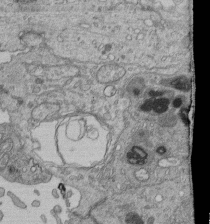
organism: Human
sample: Retinal organoid Rod and Cone cells